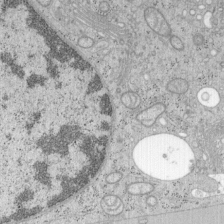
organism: Mouse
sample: OT-I killer T cells with ID8 ovarian cancer cells